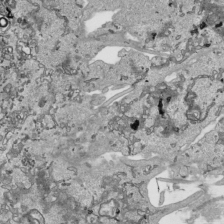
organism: Human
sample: Mitochondria in HCT116 cells